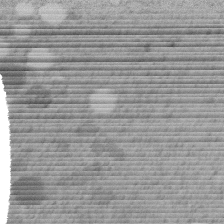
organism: C. elegans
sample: C. elegans embryo early stage